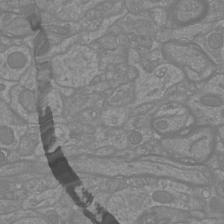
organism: Mouse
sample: Cortical neurons